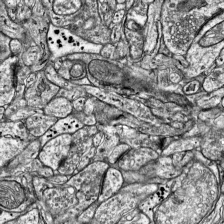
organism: Mouse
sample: Visual Cortex